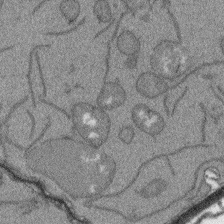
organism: Arabidopsis thaliana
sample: Root tip